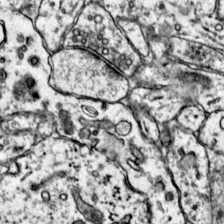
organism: Mouse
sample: Primary visual cortex